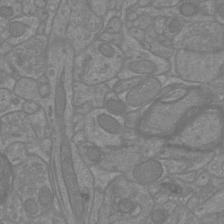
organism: Mouse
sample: Cortical neurons